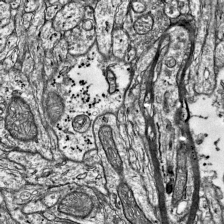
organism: Mouse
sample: Visual Cortex